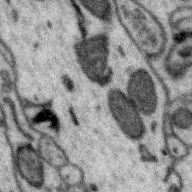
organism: Zebra finch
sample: Brain